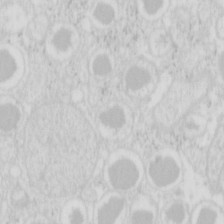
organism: Mouse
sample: Pancreas